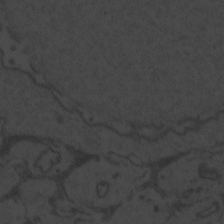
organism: Zebrafish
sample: Macrophage infected with Toxoplasma gondii